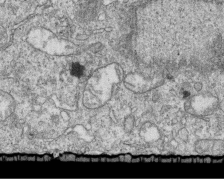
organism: Human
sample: HeLa cell HIV synapse